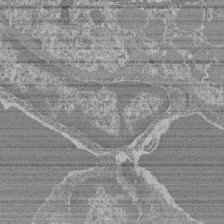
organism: Mouse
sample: Glomerulus